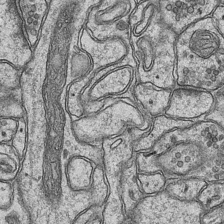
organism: Mouse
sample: CA1 Hippocampus